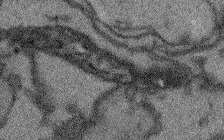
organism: Arabidopsis thaliana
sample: Root tip